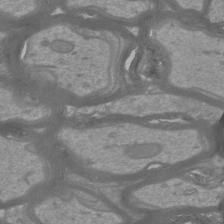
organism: Mouse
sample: Cortical neurons